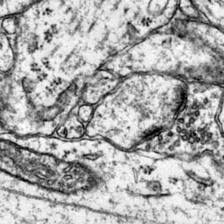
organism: Mouse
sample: Primary visual cortex